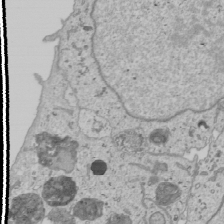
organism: Human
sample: Mitochondria in U2OS cells